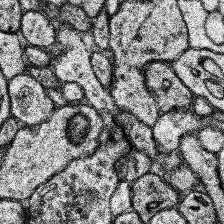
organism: Human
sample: Temporal Lobe